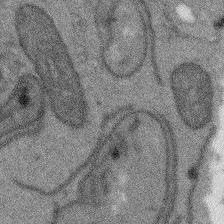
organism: Arabidopsis thaliana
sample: Root tip